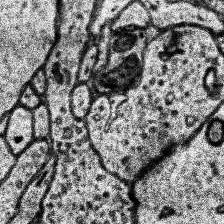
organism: Human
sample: Temporal Lobe